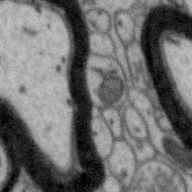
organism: Zebra finch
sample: Brain